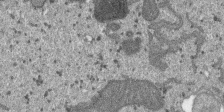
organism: Human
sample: Lung epithelial cells infected with SARS-CoV-2